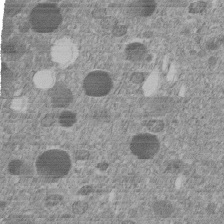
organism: C. elegans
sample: C. elegans embryo early stage